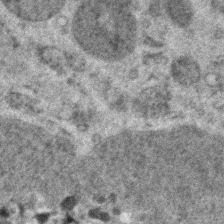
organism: Zebrafish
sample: Zebrafish embryo